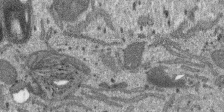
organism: Human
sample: Lung epithelial cells infected with SARS-CoV-2